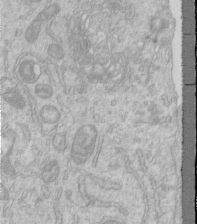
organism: Human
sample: Centriole in RPE cells